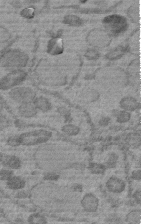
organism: C. elegans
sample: C. elegans embryo early stage